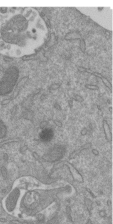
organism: Mouse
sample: ED-1 cell nuclei; centrioles